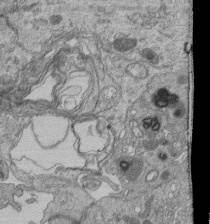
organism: Human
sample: Retinal organoid Rod and Cone cells